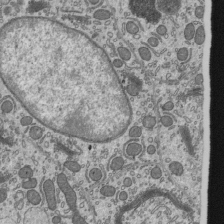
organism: Mouse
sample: Mouse epididymis efferent ductule cilia